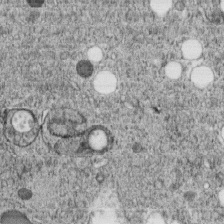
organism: C. elegans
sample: C. elegans embryo early stage